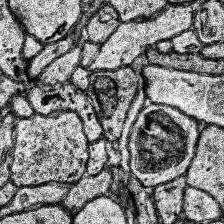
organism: Human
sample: Temporal Lobe